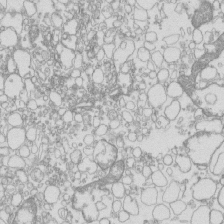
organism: Mouse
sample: Macrophages